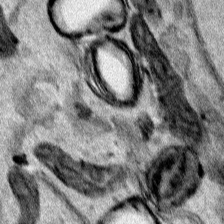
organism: Human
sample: Mitochondria in HCT116 cells